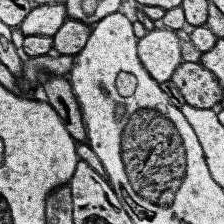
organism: Human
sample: Temporal Lobe